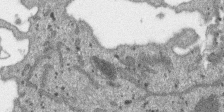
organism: Human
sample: Lung epithelial cells infected with SARS-CoV-2